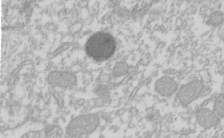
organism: Xenopus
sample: Cilia; centrioles in frog embryo cells